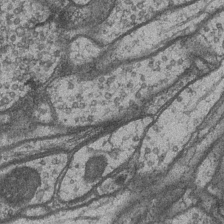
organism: Drosophila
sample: Optic medulla